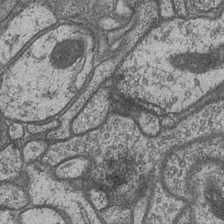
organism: Drosophila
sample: Optic medulla